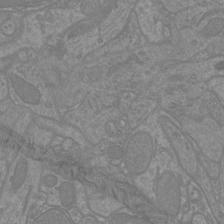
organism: Mouse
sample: Cortical neurons